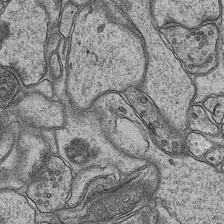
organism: Mouse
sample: CA1 Hippocampus